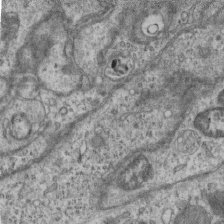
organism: Mouse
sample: Centriole in ependymal cells